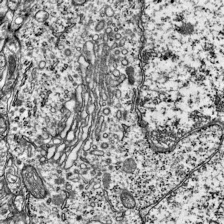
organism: Mouse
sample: Visual Cortex